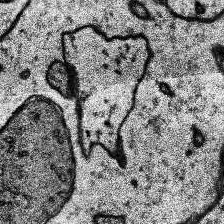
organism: Human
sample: Temporal Lobe